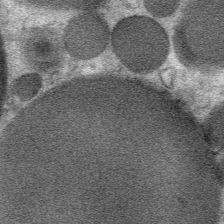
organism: Mouse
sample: Mouse Salivary gland